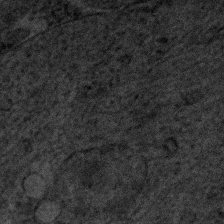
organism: Human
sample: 1205lu cells